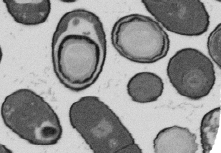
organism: B. subtilis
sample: Bacterial spore